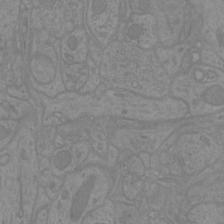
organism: Mouse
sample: Cortical neurons